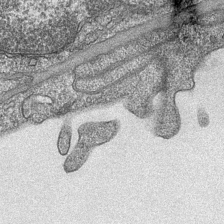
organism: Mouse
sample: CA1 Hippocampus